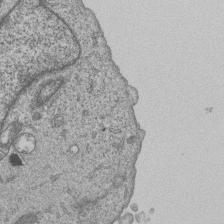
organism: Human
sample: MDA-MB-231 cells